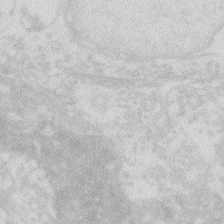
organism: Zebrafish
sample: Macrophage